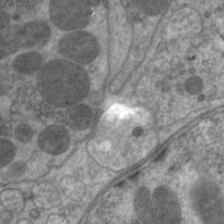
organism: C. elegans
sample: Pharynx